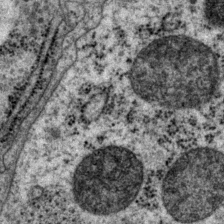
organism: P. pacificus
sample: Pharynx